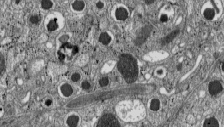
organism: C57BL Mouse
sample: Pancreatic islet